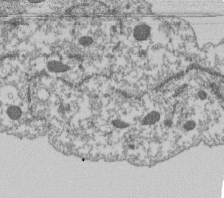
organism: Dictyostelium discoideum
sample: Dictyostelium multivesicular bodies